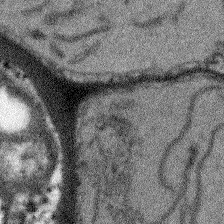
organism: Arabidopsis thaliana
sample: Root tip